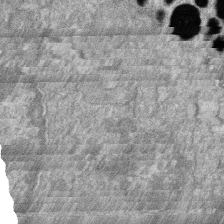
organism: Zebrafish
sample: Cilia; retinal pigment epithelium